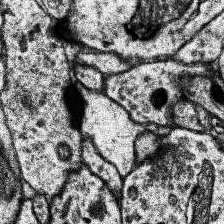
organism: Human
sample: Temporal Lobe